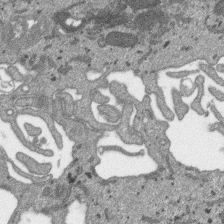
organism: Human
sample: Lung epithelial cells infected with SARS-CoV-2